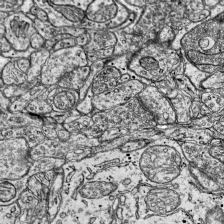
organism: Mouse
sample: Visual Cortex